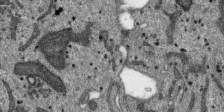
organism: Human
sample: Lung epithelial cells, uninfected (mock) control